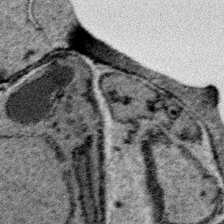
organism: Plasmodium falciparum